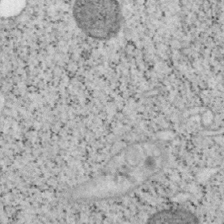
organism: Mouse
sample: OT-I killer T cells with ID8 ovarian cancer cells